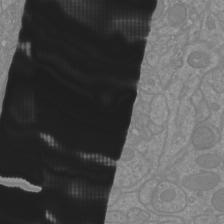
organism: Mouse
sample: Cortical neurons